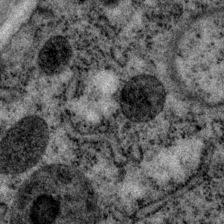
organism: P. pacificus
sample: Pharynx